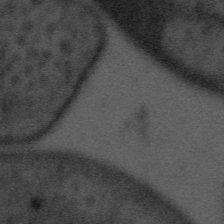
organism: Tuwongella immobilis